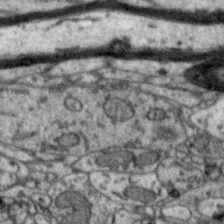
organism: Zebra finch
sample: Brain